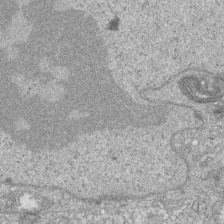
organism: Human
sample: HeLa cell HIV synapse